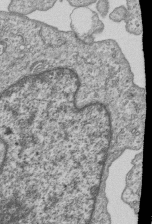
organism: Human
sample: MDA-MB-231 cells